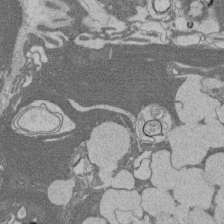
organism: Rat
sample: Salivary granule